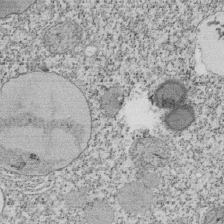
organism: Tetrahymena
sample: Cilia in tetrahymena